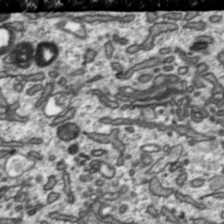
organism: Toxoplasma gondii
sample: Parasites in a vacuole inside a host cell